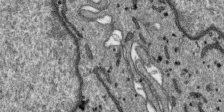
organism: Human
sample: Lung epithelial cells, uninfected (mock) control